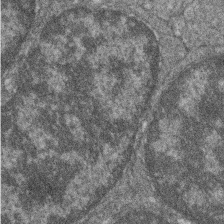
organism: Zebrafish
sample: Cilia; retinal pigment epithelium